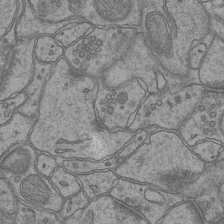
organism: Mouse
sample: CA1 Hippocampus